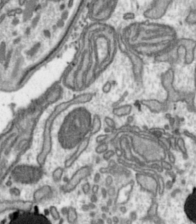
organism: Toxoplasma gondii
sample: Parasites in a vacuole inside a host cell